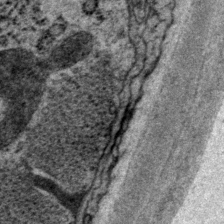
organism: P. pacificus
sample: Pharynx